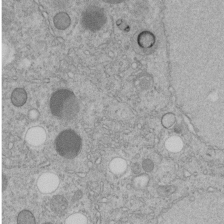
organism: C. elegans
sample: C. elegans embryo early stage